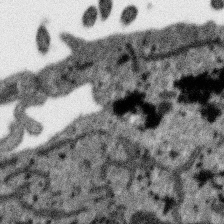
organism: Human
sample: Lung epithelial cells infected with SARS-CoV-2